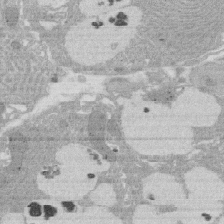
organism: Rat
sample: Salivary granule